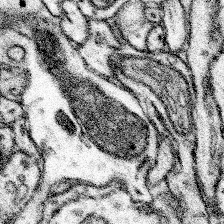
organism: Mouse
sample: Somatosensory cortex neuropil